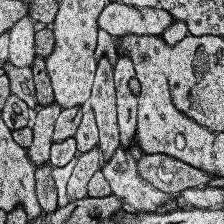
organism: Human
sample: Temporal Lobe